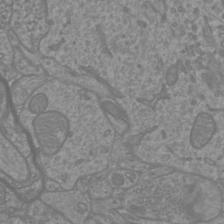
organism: Mouse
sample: Cortical neurons